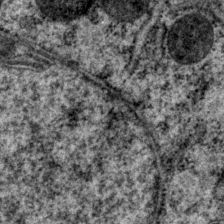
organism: P. pacificus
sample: Pharynx